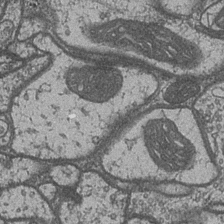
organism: Drosophila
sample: Optic medulla